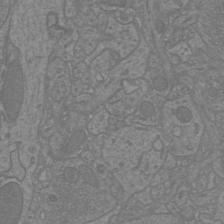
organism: Mouse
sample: Cortical neurons